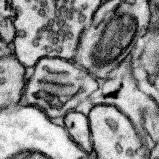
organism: Mouse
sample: Somatosensory cortex neuropil